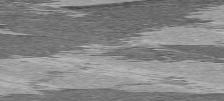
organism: C57BL Mouse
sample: Heart